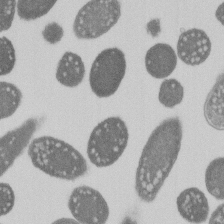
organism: E. coli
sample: Bacterial nucleoid